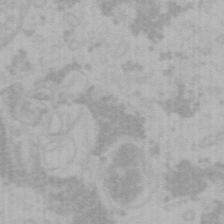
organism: Mouse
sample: Choroid plexus